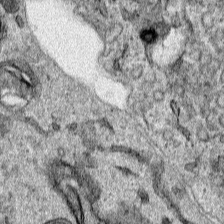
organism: Human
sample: Mitochondria in HCT116 cells